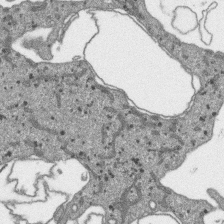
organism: Human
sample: Lung epithelial cells infected with SARS-CoV-2